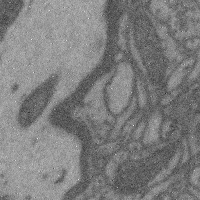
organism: Mouse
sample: Cerebral cortex